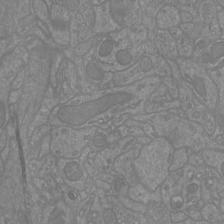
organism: Mouse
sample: Cortical neurons